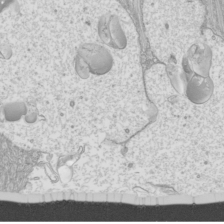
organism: Mouse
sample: Cilia; mouse epididymis